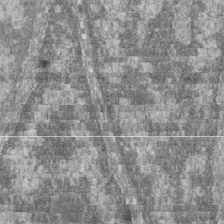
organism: Zebrafish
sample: Cilia; retinal pigment epithelium